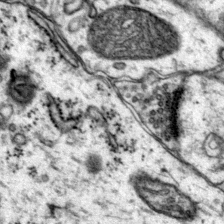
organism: Mouse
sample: Primary visual cortex